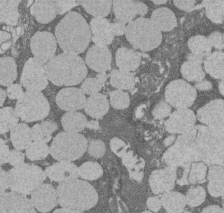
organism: Rat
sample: Salivary granule